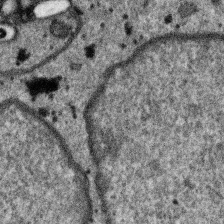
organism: Human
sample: Lung epithelial cells infected with SARS-CoV-2